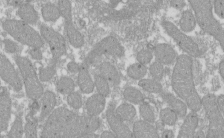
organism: Xenopus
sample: Cilia; centrioles in frog embryo cells